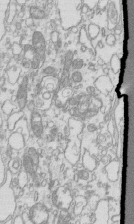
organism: Mouse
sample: Macrophages